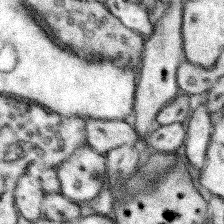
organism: Mouse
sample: Somatosensory cortex neuropil